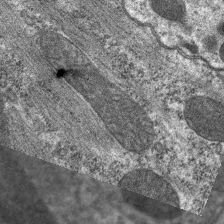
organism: C. elegans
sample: Pharynx